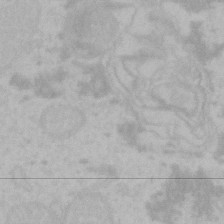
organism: Mouse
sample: Choroid plexus